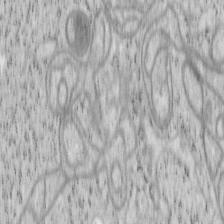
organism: Human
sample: HeLa cells